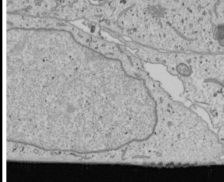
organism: Human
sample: Mitochondria in U2OS cells